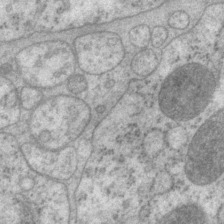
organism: P. pacificus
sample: Pharynx